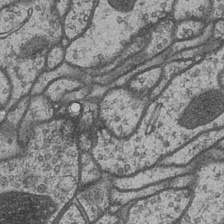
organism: Drosophila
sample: Optic medulla